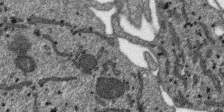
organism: Human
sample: Lung epithelial cells infected with SARS-CoV-2